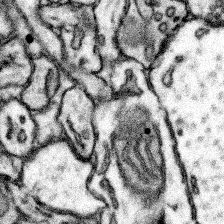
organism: Mouse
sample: Somatosensory cortex neuropil